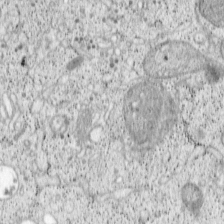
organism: African green monkey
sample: COS-7 cells